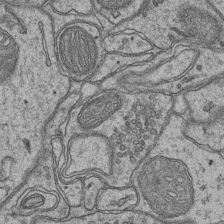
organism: Mouse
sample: CA1 Hippocampus